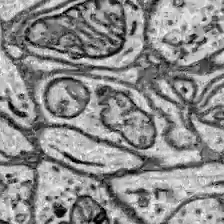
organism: Zebrafish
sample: Brain